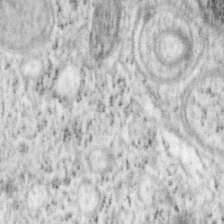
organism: Mouse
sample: OT-I killer T cells with ID8 ovarian cancer cells